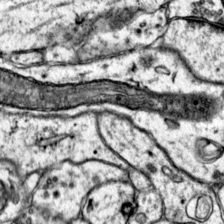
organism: Mouse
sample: Primary visual cortex